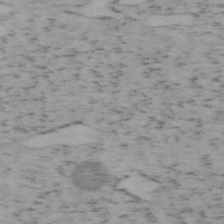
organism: Mouse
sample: OT-I killer T cells with ID8 ovarian cancer cells